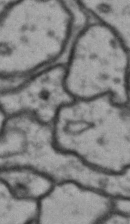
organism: Drosophila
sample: Brain